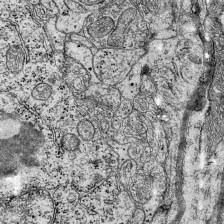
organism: Mouse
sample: Visual Cortex